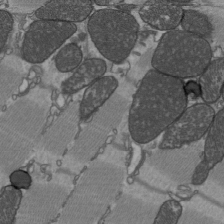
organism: C57BL Mouse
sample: Heart